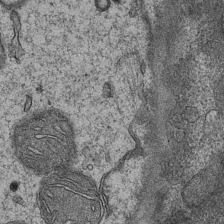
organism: Mouse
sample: CA1 Hippocampus